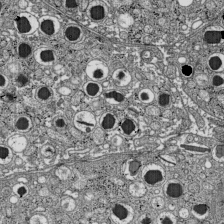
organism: C57BL Mouse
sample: Pancreatic islet